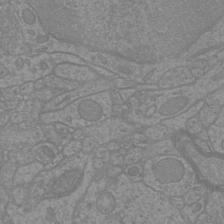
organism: Mouse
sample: Cortical neurons